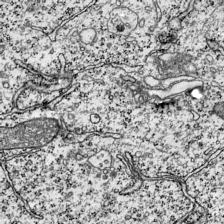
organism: Mouse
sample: Visual Cortex